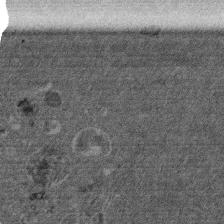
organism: Mouse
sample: Dividing mouse embryo 1 cell stage